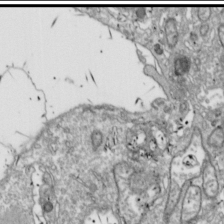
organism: Drosophila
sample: Cell division; meiosis; drosophila spermatocytes